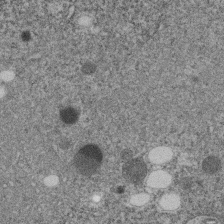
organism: C. elegans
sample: C. elegans embryo early stage